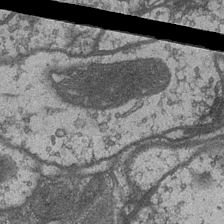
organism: Drosophila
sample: Optic medulla